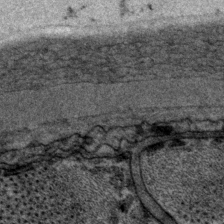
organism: P. pacificus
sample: Pharynx